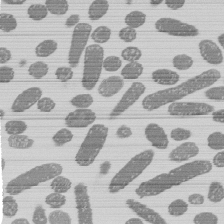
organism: E. coli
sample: Bacterial nucleoid